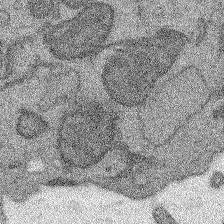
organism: Human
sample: HeLa cells